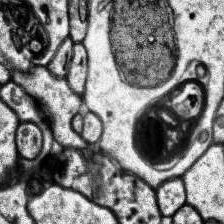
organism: Human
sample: Temporal Lobe